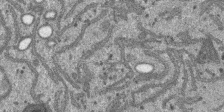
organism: Human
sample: Lung epithelial cells infected with SARS-CoV-2